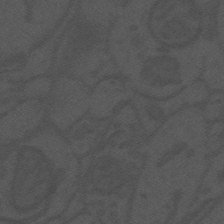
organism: Mouse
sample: Suprachiasmatic nucleus